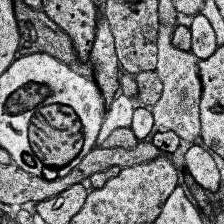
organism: Human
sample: Temporal Lobe